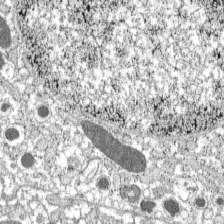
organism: C57BL Mouse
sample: Pancreatic islet